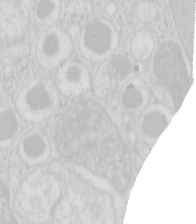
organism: Mouse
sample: Pancreas